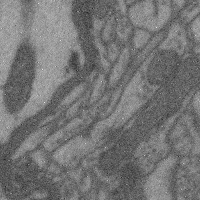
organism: Mouse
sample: Cerebral cortex